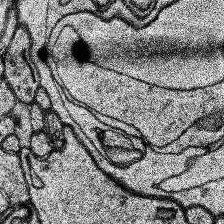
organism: Human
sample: Temporal Lobe